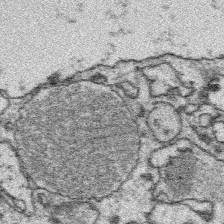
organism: Platynereis dumerilii